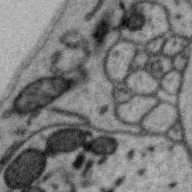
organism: Zebra finch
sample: Brain